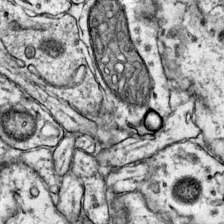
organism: Mouse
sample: Primary visual cortex